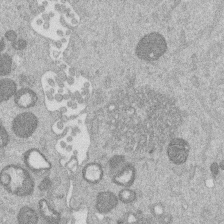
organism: Mouse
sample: Dividing mouse embryo 1 cell stage